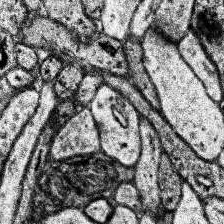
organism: Human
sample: Temporal Lobe